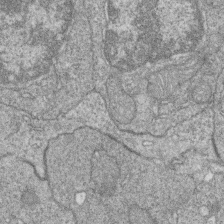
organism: Zebrafish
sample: Cilia; retinal pigment epithelium